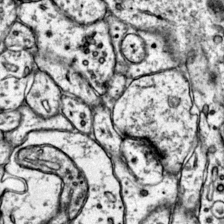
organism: Mouse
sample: Primary visual cortex